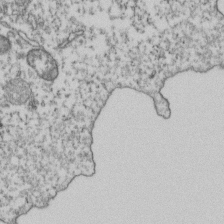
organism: Human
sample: Activated Jurkat CD4+ T cells